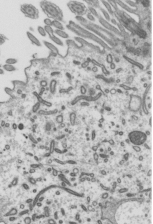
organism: Mouse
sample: Mouse epididymis efferent ductule cilia